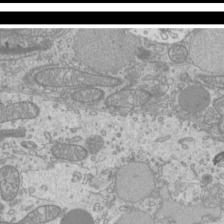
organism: Mouse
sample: Cilia; mouse epididymis